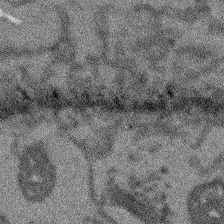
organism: Arabidopsis thaliana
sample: Root tip